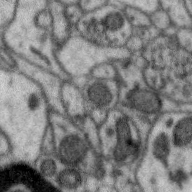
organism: Zebra finch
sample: Brain